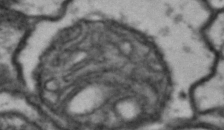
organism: Drosophila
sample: Brain